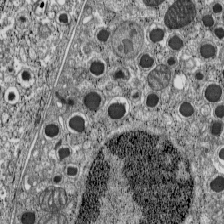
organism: C57BL Mouse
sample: Pancreatic islet